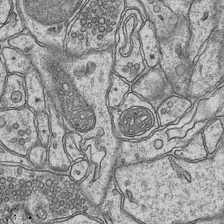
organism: Mouse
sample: CA1 Hippocampus